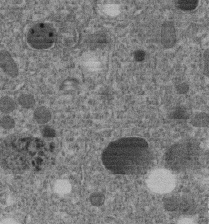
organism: C. elegans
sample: C. elegans embryo early stage